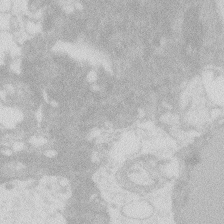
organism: Zebrafish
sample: Macrophage